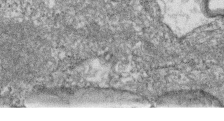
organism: Zebrafish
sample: Cilia; retinal pigment epithelium